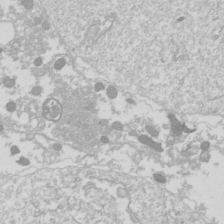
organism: Drosophila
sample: Cell division; meiosis; drosophila spermatocytes